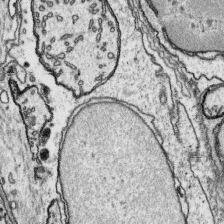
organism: Platynereis dumerilii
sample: Parapodia